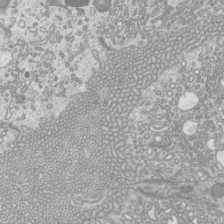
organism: Mouse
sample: Cilia; mouse epididymis